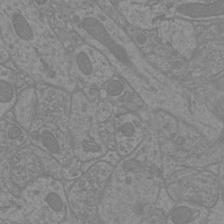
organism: Mouse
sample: Cortical neurons